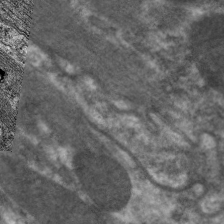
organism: C. elegans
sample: Pharynx